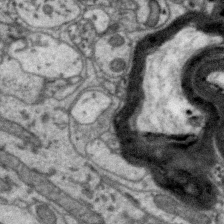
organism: Zebra finch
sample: Brain